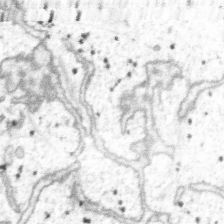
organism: Human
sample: HeLa cells